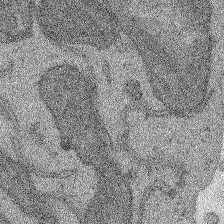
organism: Human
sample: HeLa cells